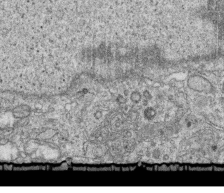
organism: Human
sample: HeLa cell HIV synapse